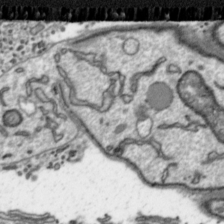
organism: Toxoplasma gondii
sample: Parasites in a vacuole inside a host cell